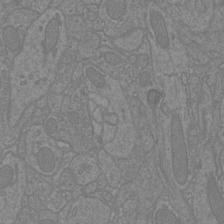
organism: Mouse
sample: Cortical neurons